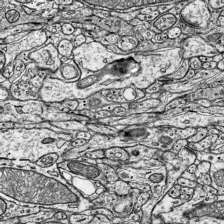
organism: Mouse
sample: Visual Cortex